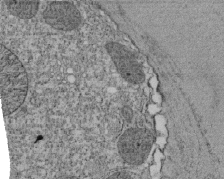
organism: Tetrahymena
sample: Cilia in tetrahymena